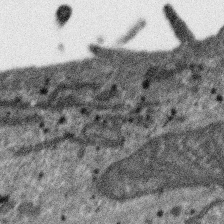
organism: Human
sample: Lung epithelial cells infected with SARS-CoV-2